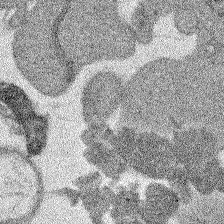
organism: Human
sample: HeLa cells